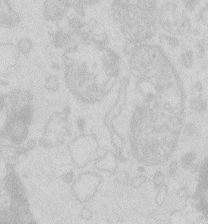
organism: Zebrafish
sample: Macrophage